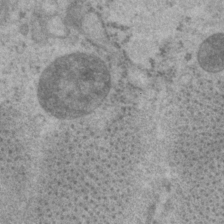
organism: P. pacificus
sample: Pharynx